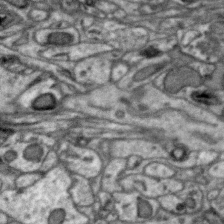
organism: Zebra finch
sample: Brain